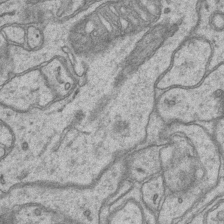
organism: Mouse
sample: CA1 Hippocampus